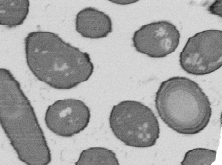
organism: B. subtilis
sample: Bacterial spore